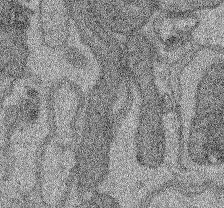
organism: Human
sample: HeLa cells